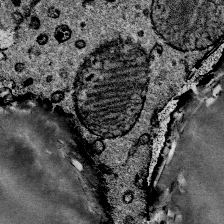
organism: Mouse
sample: Mouse Salivary gland